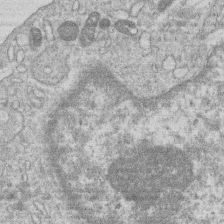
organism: Human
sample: Macrophage cells